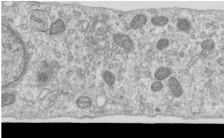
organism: Human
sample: Centriole in RPE cells